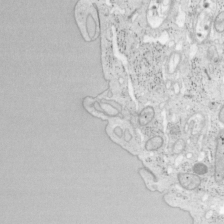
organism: Mouse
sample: OT-I killer T cells with ID8 ovarian cancer cells